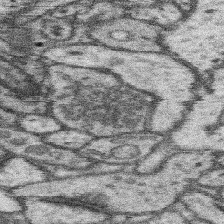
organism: Mouse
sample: Somatosensory cortex neuropil